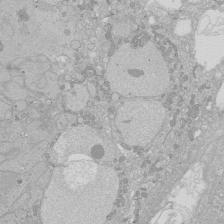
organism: Human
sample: Caco-2 cells